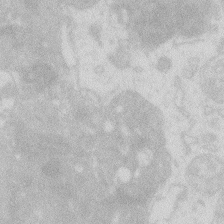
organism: Zebrafish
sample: Macrophage